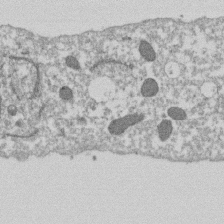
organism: Dictyostelium discoideum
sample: Dictyostelium multivesicular bodies